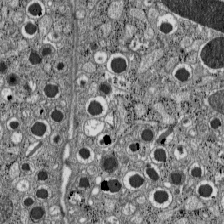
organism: C57BL Mouse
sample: Pancreatic islet